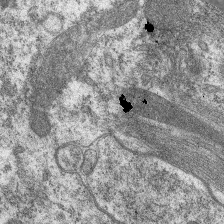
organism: C. elegans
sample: Pharynx